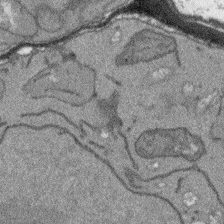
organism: Arabidopsis thaliana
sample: Root tip